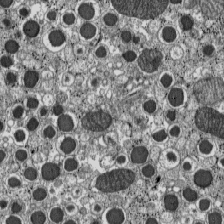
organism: C57BL Mouse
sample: Pancreatic islet